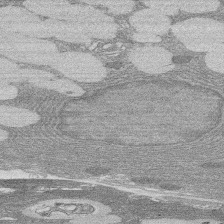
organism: Rat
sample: Salivary granule